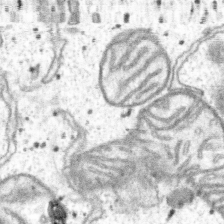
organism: Human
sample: HeLa cells